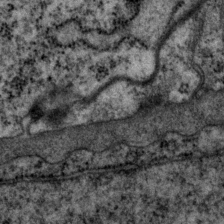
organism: P. pacificus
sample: Pharynx